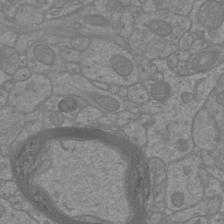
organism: Mouse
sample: Cortical neurons